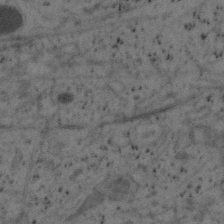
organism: Human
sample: HeLa cells